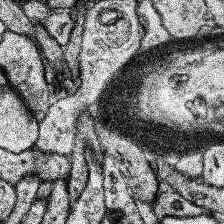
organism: Human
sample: Temporal Lobe